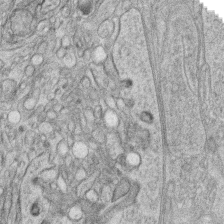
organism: Zebrafish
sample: synaptic ribbons in rod cells and cone cells